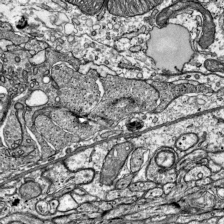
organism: Mouse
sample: Visual Cortex